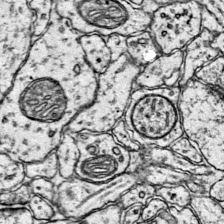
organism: Mouse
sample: Primary visual cortex